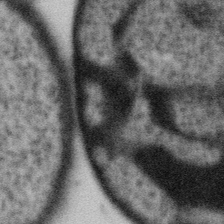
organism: Gemmata obscuriglobus